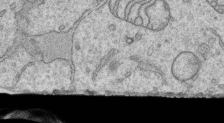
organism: Human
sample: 1205lu cells